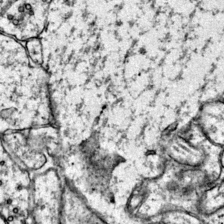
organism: Mouse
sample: Primary visual cortex